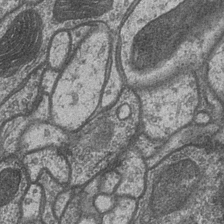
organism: Drosophila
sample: Optic medulla